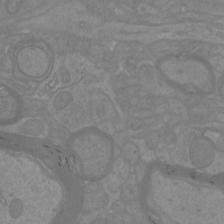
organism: Mouse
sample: Cortical neurons